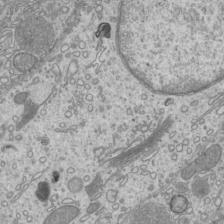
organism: Mouse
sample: Cilia; mouse epididymis